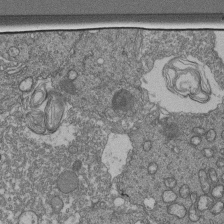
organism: Human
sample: Retinal organoid Rod and Cone cells